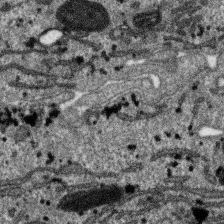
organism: Human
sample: Lung epithelial cells infected with SARS-CoV-2